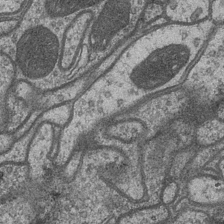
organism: Drosophila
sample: Optic medulla